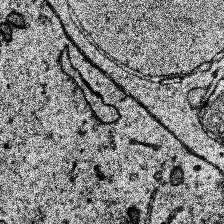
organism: Human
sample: Temporal Lobe